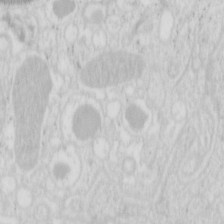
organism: Mouse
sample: Pancreas